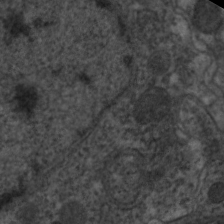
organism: C. elegans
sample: Pharynx